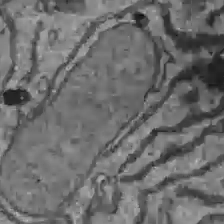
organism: C57BL Mouse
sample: Liver